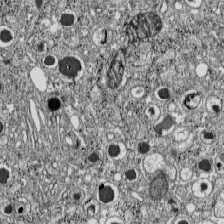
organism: C57BL Mouse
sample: Pancreatic islet